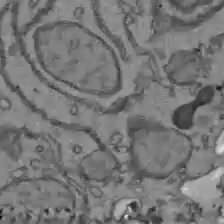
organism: C57BL Mouse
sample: Liver